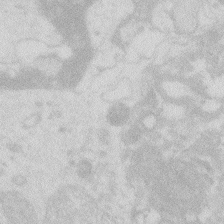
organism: Zebrafish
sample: Macrophage